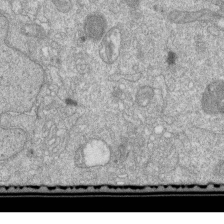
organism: Human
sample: HeLa cell HIV synapse